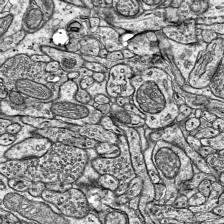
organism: Mouse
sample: Visual Cortex